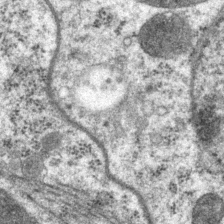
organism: P. pacificus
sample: Pharynx